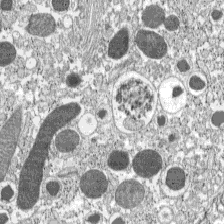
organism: C57BL Mouse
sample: Pancreatic islet